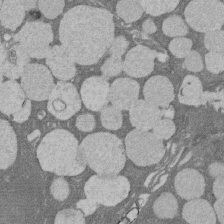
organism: Rat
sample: Salivary granule